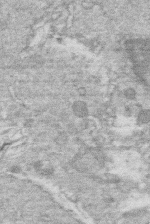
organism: Human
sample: Macrophage cells